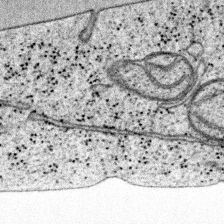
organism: Human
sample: HeLa cells